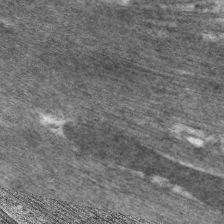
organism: C. elegans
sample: Pharynx